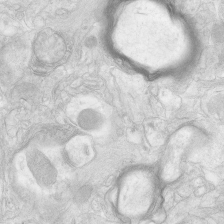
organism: Human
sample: Neocortex